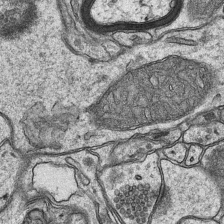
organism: Mouse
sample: CA1 Hippocampus